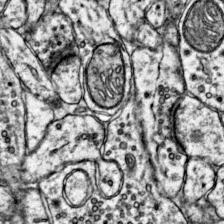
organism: Mouse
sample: Primary visual cortex